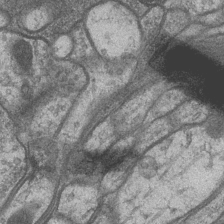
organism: Drosophila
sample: Optic medulla